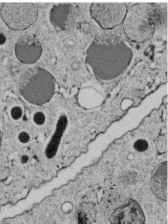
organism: C. elegans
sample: C. elegans embryo early stage